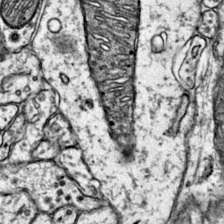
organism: Mouse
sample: Primary visual cortex